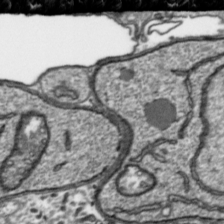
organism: Toxoplasma gondii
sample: Parasites in a vacuole inside a host cell